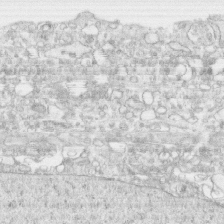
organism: Human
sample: CRL-1474